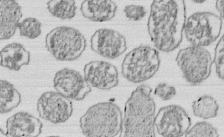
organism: E. coli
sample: Bacterial nucleoid